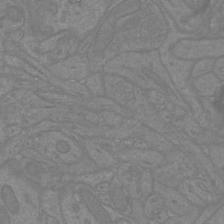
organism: Mouse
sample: Cortical neurons